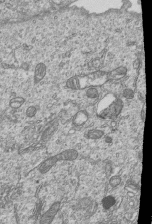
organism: Human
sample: MDA-MB-231 cells